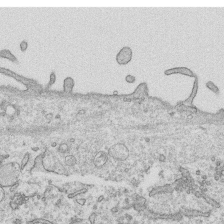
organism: Human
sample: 1205lu cells